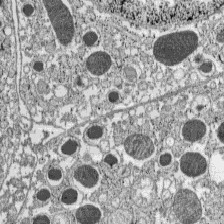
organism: C57BL Mouse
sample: Pancreatic islet